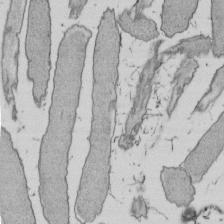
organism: E. coli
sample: Bacterial nucleoid